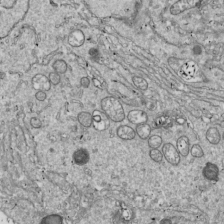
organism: Drosophila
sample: Cell division; meiosis; drosophila spermatocytes